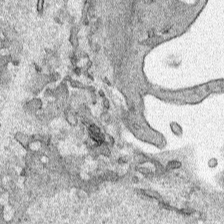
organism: Human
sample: Mitochondria in HCT116 cells